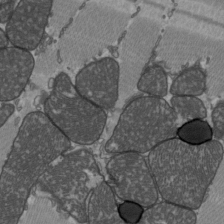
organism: C57BL Mouse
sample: Heart